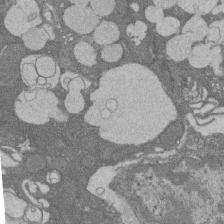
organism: Rat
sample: Salivary granule